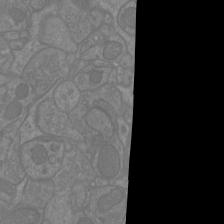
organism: Mouse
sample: Cortical neurons